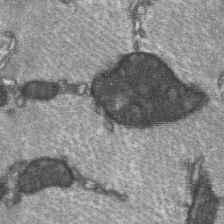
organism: C57BL Mouse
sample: Soleus